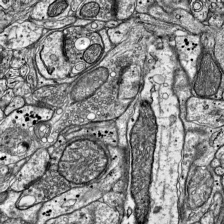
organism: Mouse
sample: Visual Cortex